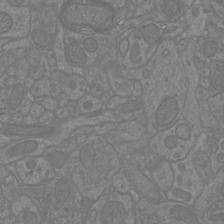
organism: Mouse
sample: Cortical neurons